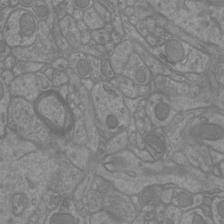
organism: Mouse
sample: Cortical neurons